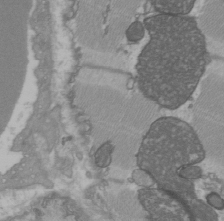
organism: C57BL Mouse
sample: Heart